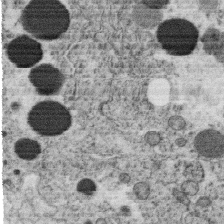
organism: C. elegans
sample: C. elegans oocyte; sperm cells